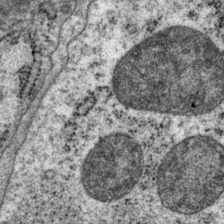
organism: P. pacificus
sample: Pharynx